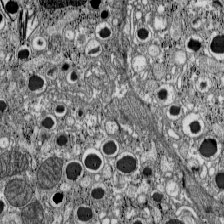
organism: C57BL Mouse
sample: Pancreatic islet